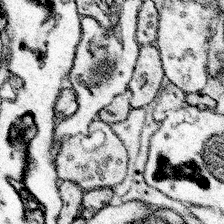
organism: Mouse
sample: Somatosensory cortex neuropil